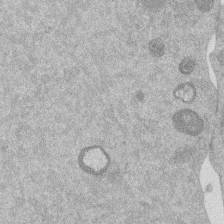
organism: Mouse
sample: Dividing mouse embryo 1 cell stage